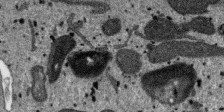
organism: Human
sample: Lung epithelial cells, uninfected (mock) control